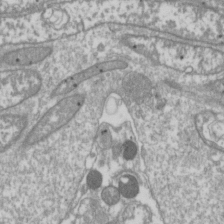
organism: Drosophila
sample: Cell division; meiosis; drosophila spermatocytes